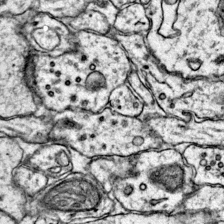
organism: Mouse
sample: Primary visual cortex